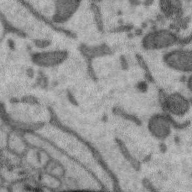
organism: Zebra finch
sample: Brain